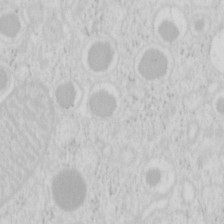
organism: Mouse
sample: Pancreas